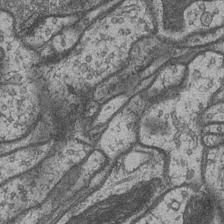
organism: Drosophila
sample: Optic medulla